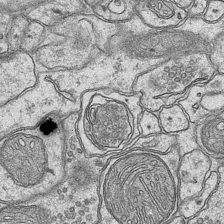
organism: Mouse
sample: CA1 Hippocampus